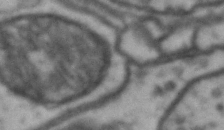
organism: Drosophila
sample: Brain